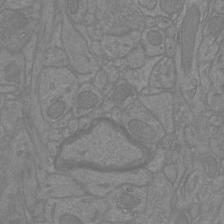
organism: Mouse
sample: Cortical neurons